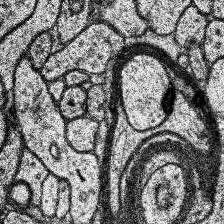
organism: Human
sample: Temporal Lobe